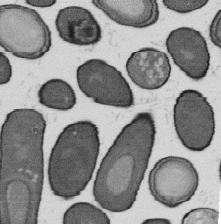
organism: B. subtilis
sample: Bacterial spore